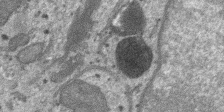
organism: Human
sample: Lung epithelial cells infected with SARS-CoV-2